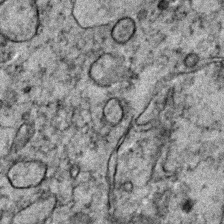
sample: Trachea